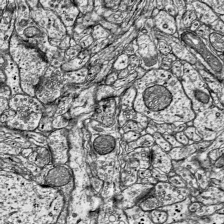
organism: Mouse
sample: Visual Cortex